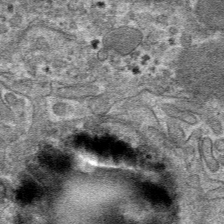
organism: Mouse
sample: Mouse hepatocytes